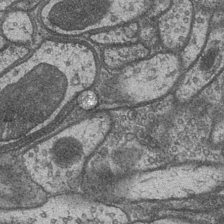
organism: Drosophila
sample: Optic medulla